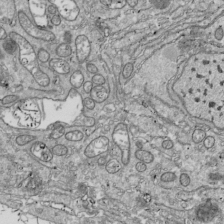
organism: Drosophila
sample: Cell division; meiosis; drosophila spermatocytes